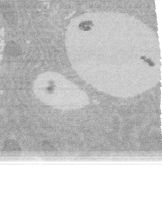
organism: Rat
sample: Salivary granule